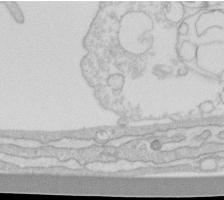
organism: Human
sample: Fibroblast cells